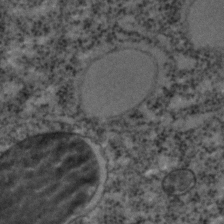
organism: C. elegans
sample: C. elegans embryo